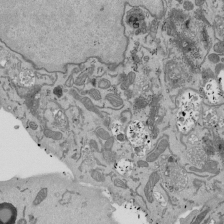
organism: Mouse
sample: ED-1 cell nuclei; centrioles